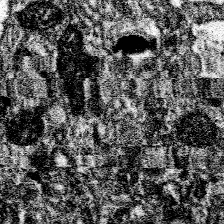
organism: Spongilla lacustris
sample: Neuroid cell